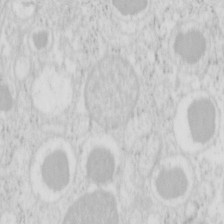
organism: Mouse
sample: Pancreas